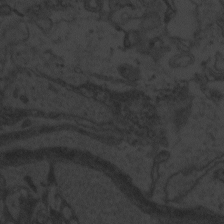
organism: Zebrafish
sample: Macrophage infected with Toxoplasma gondii